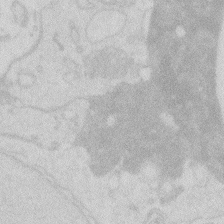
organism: Zebrafish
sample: Macrophage